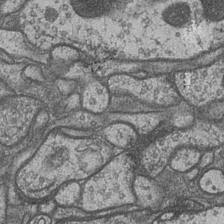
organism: Drosophila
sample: Optic medulla